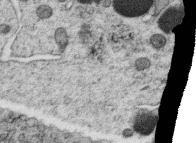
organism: C. elegans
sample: C. elegans oocyte; sperm cells